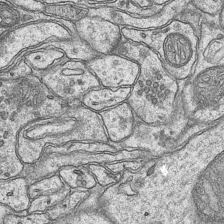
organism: Mouse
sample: CA1 Hippocampus